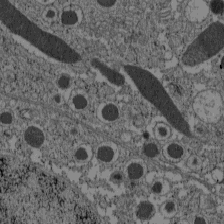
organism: C57BL Mouse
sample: Pancreatic islet